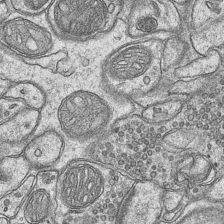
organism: Mouse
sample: CA1 Hippocampus